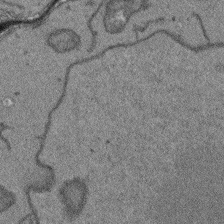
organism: Arabidopsis thaliana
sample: Root tip